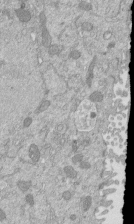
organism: Mouse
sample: ED-1 cell nuclei; centrioles